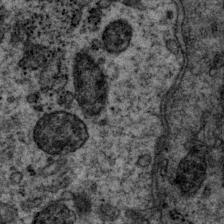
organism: P. pacificus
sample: Pharynx